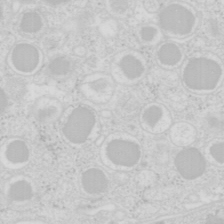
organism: Mouse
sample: Pancreas